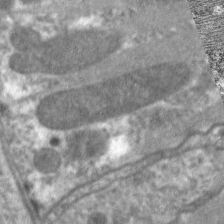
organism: C. elegans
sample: Pharynx